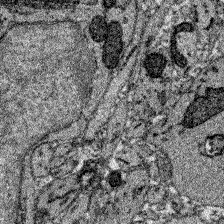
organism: Zebrafish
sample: Larval olfactory bulb